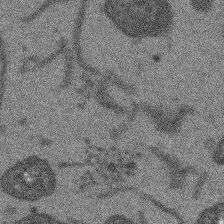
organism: Arabidopsis thaliana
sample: Root tip